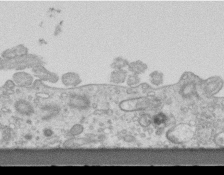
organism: Mouse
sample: Centriole in ependymal cells